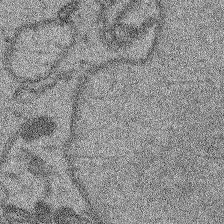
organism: Human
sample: HeLa cells